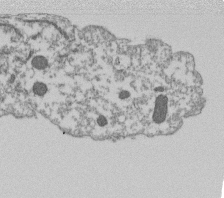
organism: Dictyostelium discoideum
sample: Dictyostelium multivesicular bodies